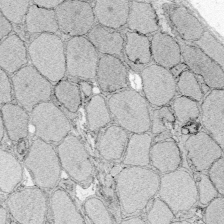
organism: Zebrafish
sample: Whole-Brain